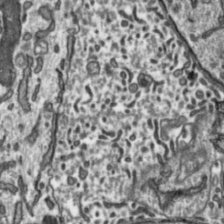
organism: Toxoplasma gondii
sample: Parasites in a vacuole inside a host cell